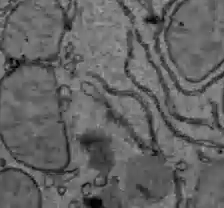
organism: C57BL Mouse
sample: Liver